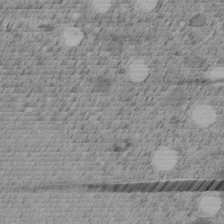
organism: C. elegans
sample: C. elegans embryo early stage